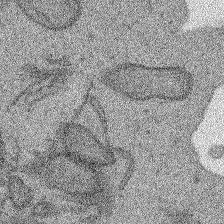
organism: Human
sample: HeLa cells